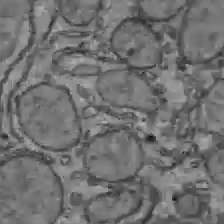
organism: C57BL Mouse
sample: Liver